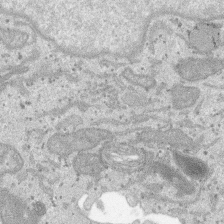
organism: Human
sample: Lung epithelial cells infected with SARS-CoV-2